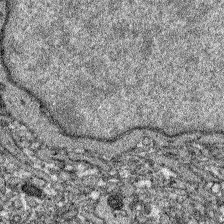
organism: Zebrafish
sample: Larval olfactory bulb